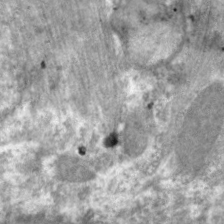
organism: C. elegans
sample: Pharynx